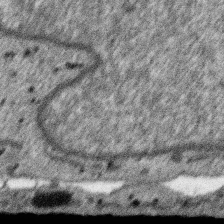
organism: Human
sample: Lung epithelial cells infected with SARS-CoV-2